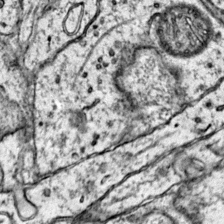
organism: Mouse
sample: Primary visual cortex